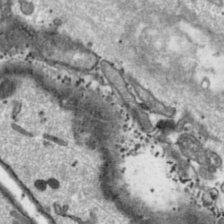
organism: Toxoplasma gondii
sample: Parasites in a vacuole inside a host cell